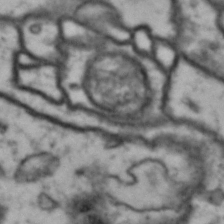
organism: Drosophila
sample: Brain